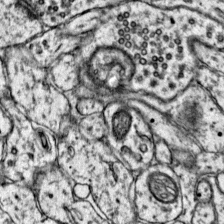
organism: Mouse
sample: Primary visual cortex